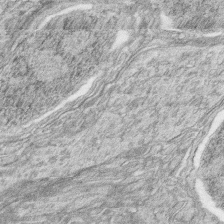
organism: Zebrafish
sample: synaptic ribbons in rod cells and cone cells